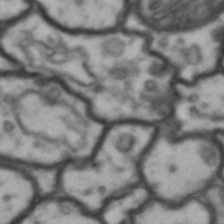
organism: Drosophila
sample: Brain